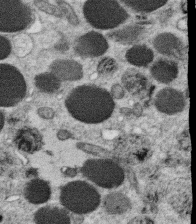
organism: C. elegans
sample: C. elegans oocyte; sperm cells